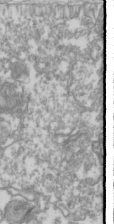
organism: Drosophila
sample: Cell division; meiosis; drosophila spermatocytes